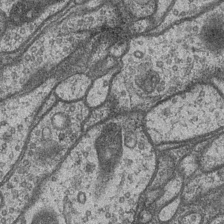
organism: Drosophila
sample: Optic medulla